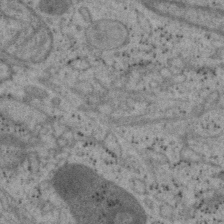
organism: Human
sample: HeLa cells